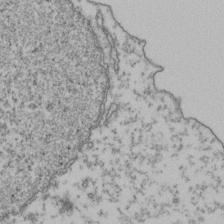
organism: Human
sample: Activated Jurkat CD4+ T cells